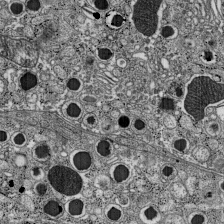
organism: C57BL Mouse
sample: Pancreatic islet